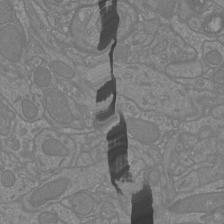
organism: Mouse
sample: Cortical neurons